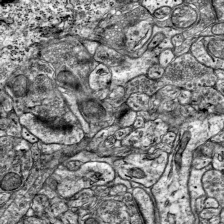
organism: Mouse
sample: Visual Cortex